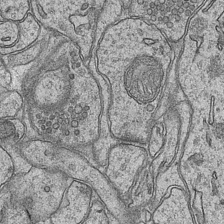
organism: Mouse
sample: CA1 Hippocampus